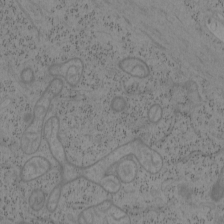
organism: Mouse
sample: OT-I killer T cells with ID8 ovarian cancer cells